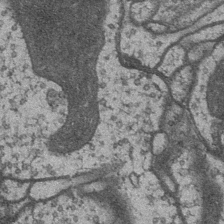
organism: Drosophila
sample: Optic medulla